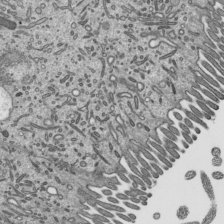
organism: Mouse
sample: Mouse epididymis efferent ductule cilia